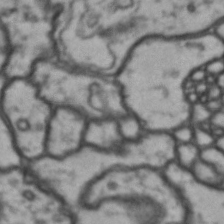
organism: Drosophila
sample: Brain